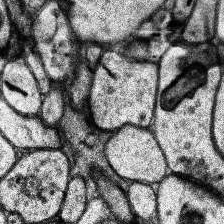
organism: Human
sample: Temporal Lobe